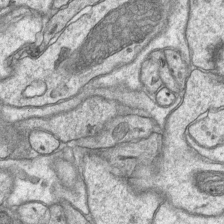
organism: Mouse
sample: CA1 Hippocampus